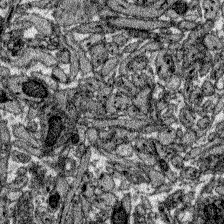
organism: Zebrafish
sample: Larval olfactory bulb